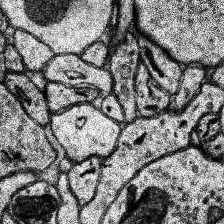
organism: Human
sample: Temporal Lobe